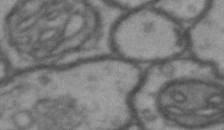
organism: Drosophila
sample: Brain